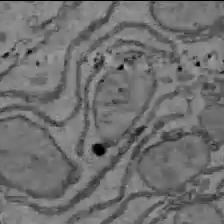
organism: C57BL Mouse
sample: Liver